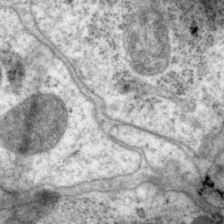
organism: P. pacificus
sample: Pharynx